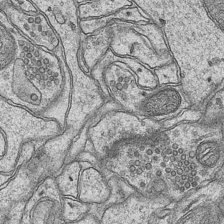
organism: Mouse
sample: CA1 Hippocampus